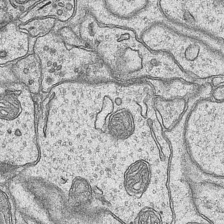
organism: Mouse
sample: CA1 Hippocampus